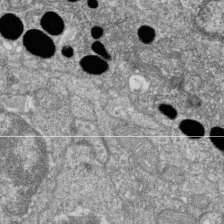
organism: Zebrafish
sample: Cilia; retinal pigment epithelium